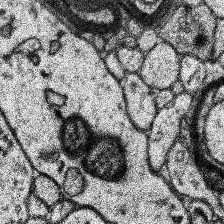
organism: Human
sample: Temporal Lobe